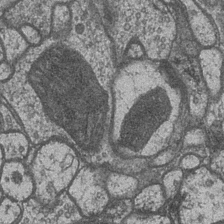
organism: Drosophila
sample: Optic medulla